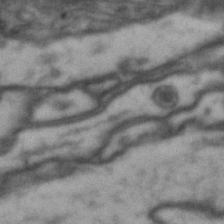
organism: Drosophila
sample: Brain